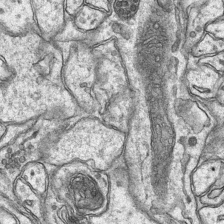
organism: Mouse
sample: CA1 Hippocampus